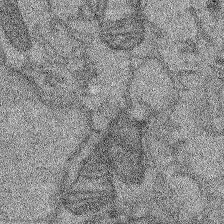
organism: Human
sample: HeLa cells